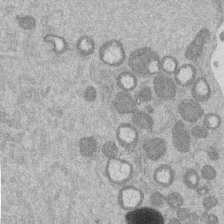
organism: Mouse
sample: Dividing mouse embryo 1 cell stage